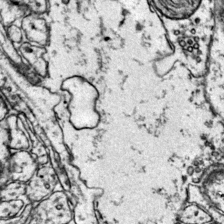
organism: Mouse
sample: Primary visual cortex